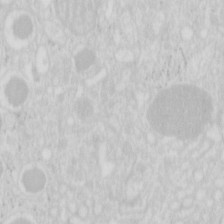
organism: Mouse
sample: Pancreas